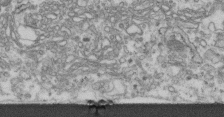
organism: Human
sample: Centriole in fibroblast cells